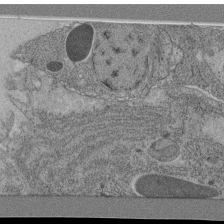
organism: C. elegans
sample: C. elegans pharynx